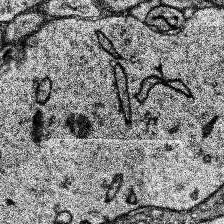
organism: Human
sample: Temporal Lobe